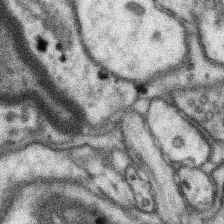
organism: Mouse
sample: Somatosensory cortex neuropil